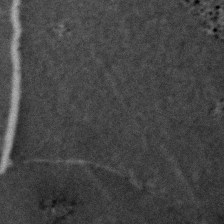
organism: Zebrafish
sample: Zebrafish embryo